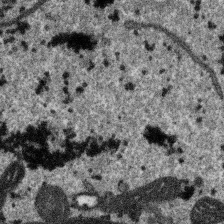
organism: Human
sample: Lung epithelial cells infected with SARS-CoV-2